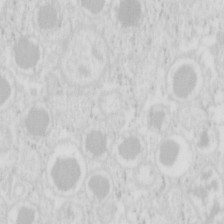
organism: Mouse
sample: Pancreas